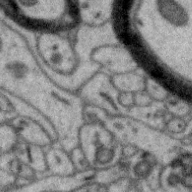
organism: Zebra finch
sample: Brain